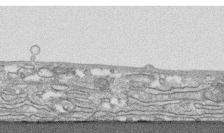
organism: Human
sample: CRL-1474